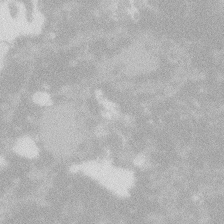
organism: Zebrafish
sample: Macrophage